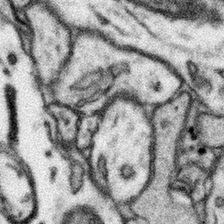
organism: Mouse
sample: Somatosensory cortex neuropil